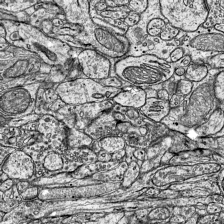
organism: Mouse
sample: Visual Cortex